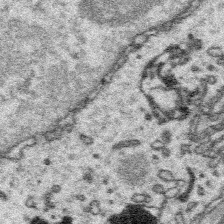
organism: Platynereis dumerilii